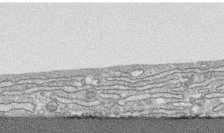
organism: Human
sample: CRL-1474